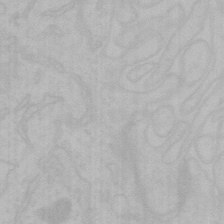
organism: Mouse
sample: Choroid plexus